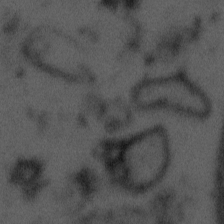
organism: Tuwongella immobilis